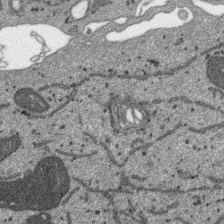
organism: Human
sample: Lung epithelial cells infected with SARS-CoV-2